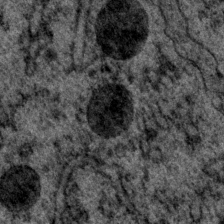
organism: P. pacificus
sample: Pharynx